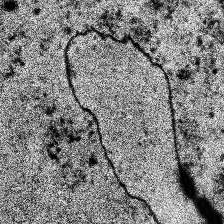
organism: Human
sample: Temporal Lobe